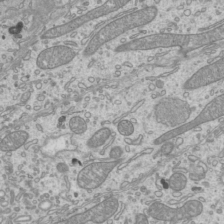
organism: Mouse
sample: Cilia; mouse epididymis